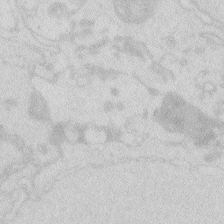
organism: Zebrafish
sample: Macrophage